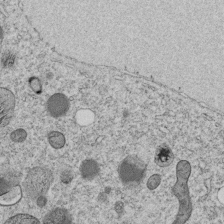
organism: C. elegans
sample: C. elegans embryo early stage